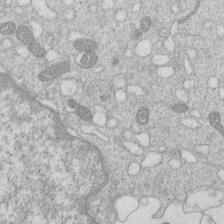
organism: Human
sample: Macrophage cells